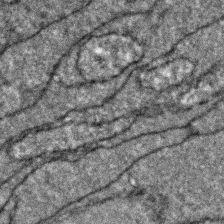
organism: Zebrafish